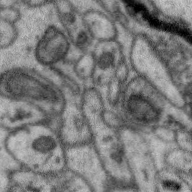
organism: Zebra finch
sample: Brain